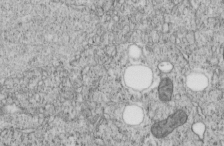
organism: C. elegans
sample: C. elegans embryo early stage